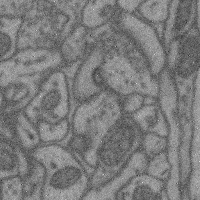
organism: Mouse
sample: Cerebral cortex